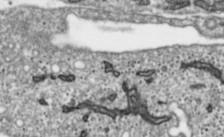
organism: Toxoplasma gondii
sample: Parasites in a vacuole inside a host cell